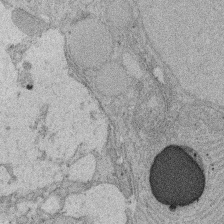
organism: Rat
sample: Salivary granule